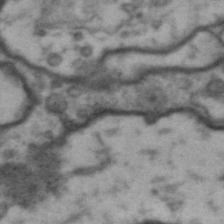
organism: Drosophila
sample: Brain